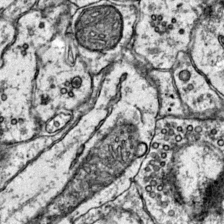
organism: Mouse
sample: Primary visual cortex